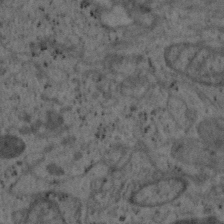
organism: Human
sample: HeLa cells